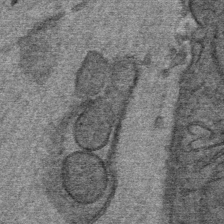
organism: Mouse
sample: Mouse Salivary gland